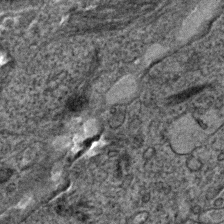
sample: Trachea